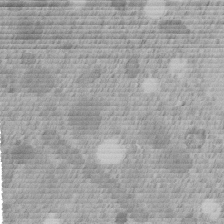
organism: C. elegans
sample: C. elegans embryo early stage